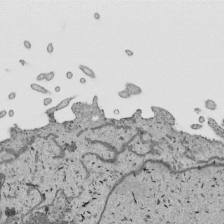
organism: Human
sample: Mitochondria in HCT116 cells